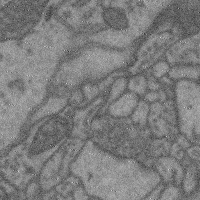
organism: Mouse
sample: Cerebral cortex